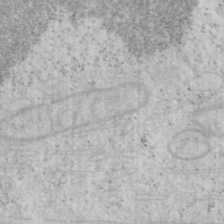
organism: Human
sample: HeLa cells